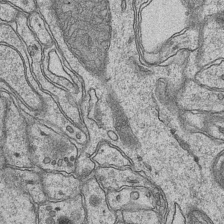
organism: Mouse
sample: CA1 Hippocampus